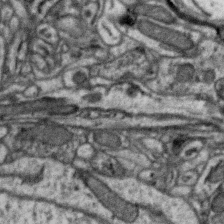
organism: Zebra finch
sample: Brain